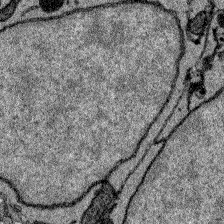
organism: Zebrafish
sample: Larval olfactory bulb